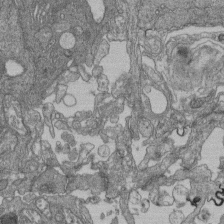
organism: Human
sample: Retinal organoid Rod and Cone cells